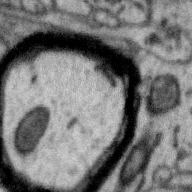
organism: Zebra finch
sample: Brain